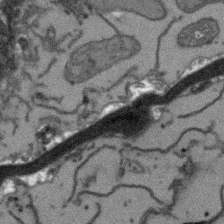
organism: Arabidopsis thaliana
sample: Root tip